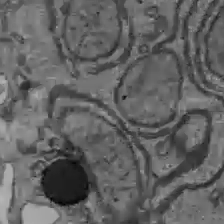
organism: C57BL Mouse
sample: Liver